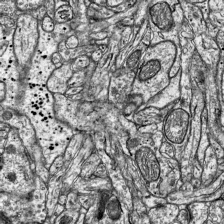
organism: Mouse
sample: Visual Cortex